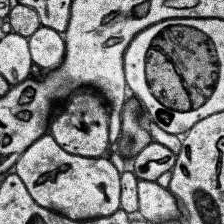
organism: Human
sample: Temporal Lobe